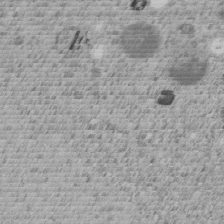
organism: C. elegans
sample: C. elegans embryo early stage